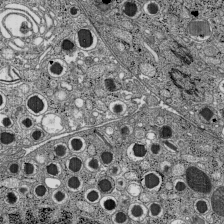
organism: C57BL Mouse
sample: Pancreatic islet